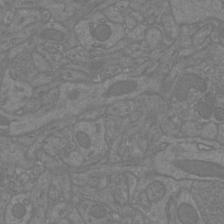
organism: Mouse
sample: Cortical neurons